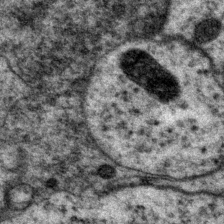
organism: P. pacificus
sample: Pharynx